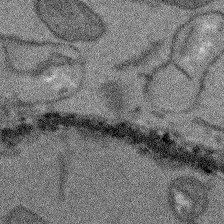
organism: Arabidopsis thaliana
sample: Root tip